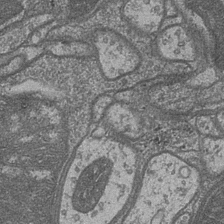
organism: Drosophila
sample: Optic medulla